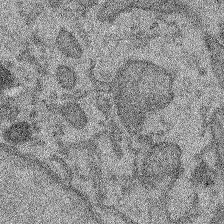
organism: Human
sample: HeLa cells